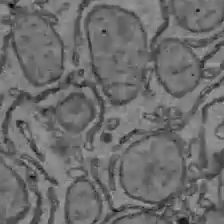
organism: C57BL Mouse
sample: Liver